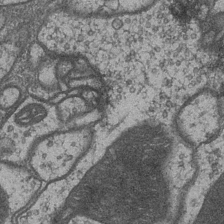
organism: Drosophila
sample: Optic medulla